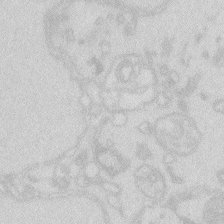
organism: Zebrafish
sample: Macrophage